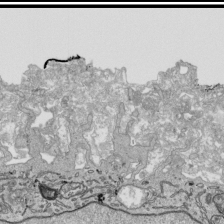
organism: Human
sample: Mitochondria in HCT116 cells